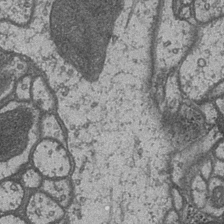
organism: Drosophila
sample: Optic medulla